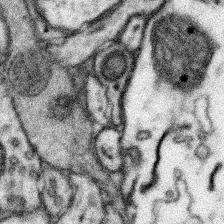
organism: Mouse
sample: Somatosensory cortex neuropil